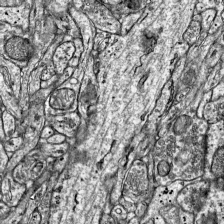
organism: Mouse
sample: Visual Cortex